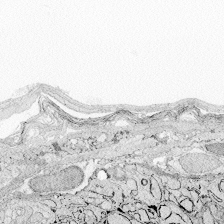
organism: Zebrafish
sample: Whole-Brain